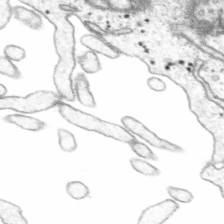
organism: Human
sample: HeLa cells